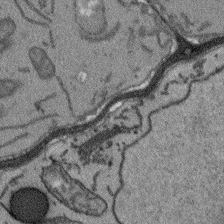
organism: Arabidopsis thaliana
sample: Root tip